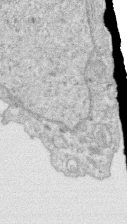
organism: Human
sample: HeLa cell HIV synapse